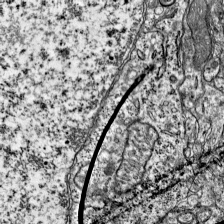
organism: Mouse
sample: Visual Cortex